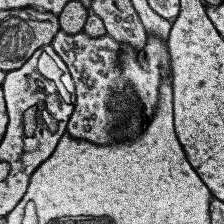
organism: Human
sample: Temporal Lobe